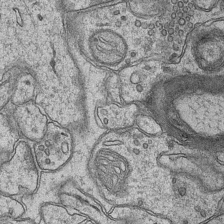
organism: Mouse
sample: CA1 Hippocampus